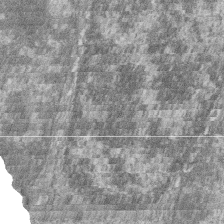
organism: Zebrafish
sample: Cilia; retinal pigment epithelium